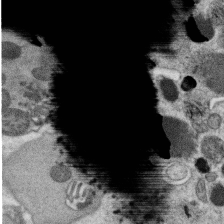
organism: C. elegans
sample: C. elegans oocyte; sperm cells